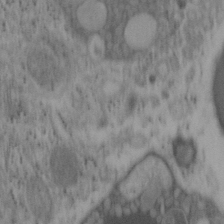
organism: Mouse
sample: OT-I killer T cells with ID8 ovarian cancer cells